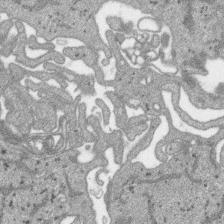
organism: Human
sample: Lung epithelial cells infected with SARS-CoV-2